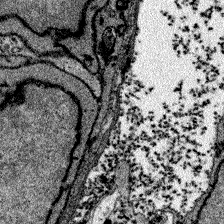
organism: Zebrafish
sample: Larval olfactory bulb